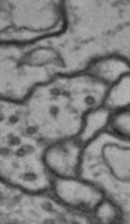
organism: Drosophila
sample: Brain